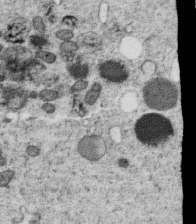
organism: C. elegans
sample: C. elegans oocyte; sperm cells